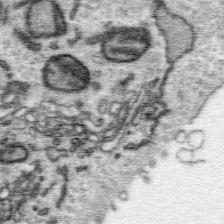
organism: Human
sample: HeLa cells